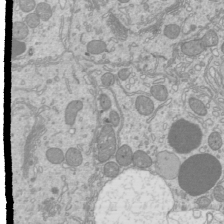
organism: Mouse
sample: Cilia; mouse epididymis